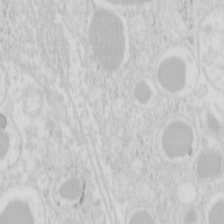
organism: Mouse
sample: Pancreas